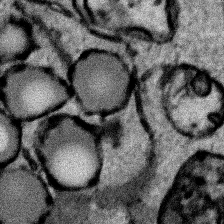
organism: Human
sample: Mitochondria in HCT116 cells